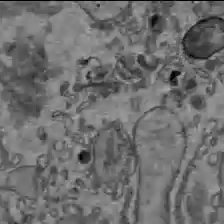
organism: C57BL Mouse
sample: Liver